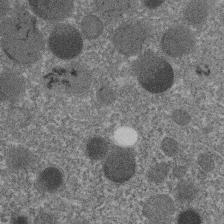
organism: C. elegans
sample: C. elegans embryo early stage